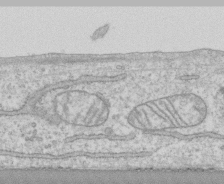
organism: Human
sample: CRL-1474